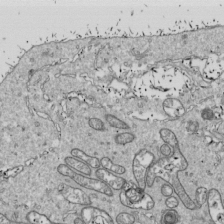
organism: Drosophila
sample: Cell division; meiosis; drosophila spermatocytes